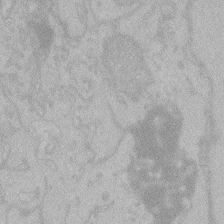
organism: Zebrafish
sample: Macrophage infected with Toxoplasma gondii